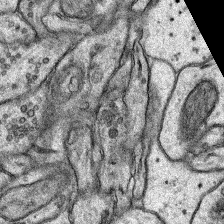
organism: Rat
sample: Hippocampus